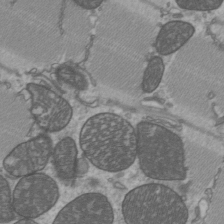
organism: C57BL Mouse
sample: Heart